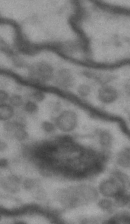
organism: Drosophila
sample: Brain